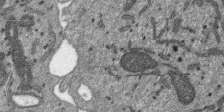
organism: Human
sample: Lung epithelial cells infected with SARS-CoV-2